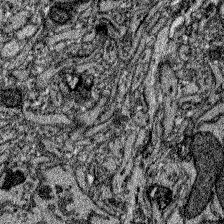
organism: Zebrafish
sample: Larval olfactory bulb